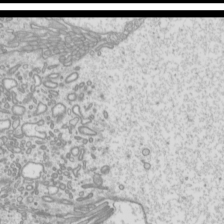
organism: Mouse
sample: Cilia; mouse epididymis